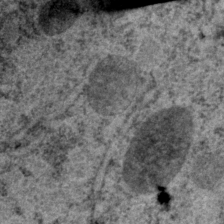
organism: P. pacificus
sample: Pharynx